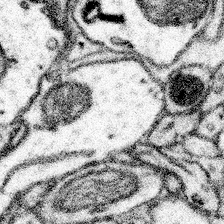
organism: Mouse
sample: Somatosensory cortex neuropil